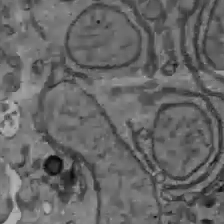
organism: C57BL Mouse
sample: Liver